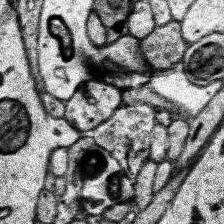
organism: Human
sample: Temporal Lobe